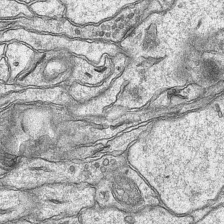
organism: Mouse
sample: CA1 Hippocampus